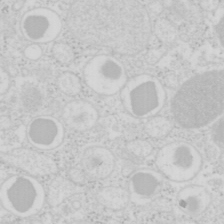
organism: Mouse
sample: Pancreas